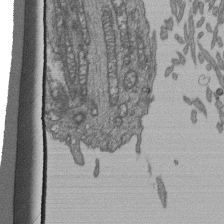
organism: Human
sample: Retinal organoid Rod and Cone cells